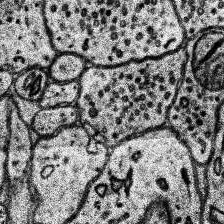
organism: Human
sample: Temporal Lobe